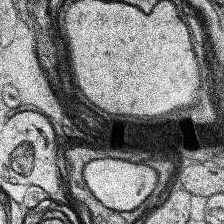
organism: Human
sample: Temporal Lobe